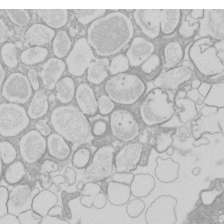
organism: Xenopus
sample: Cilia; centrioles in frog embryo cells